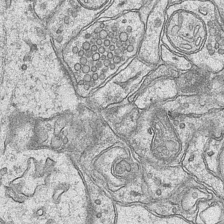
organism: Mouse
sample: CA1 Hippocampus